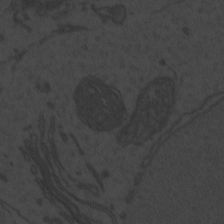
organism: Zebrafish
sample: Macrophage infected with Toxoplasma gondii